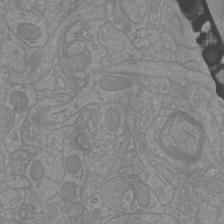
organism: Mouse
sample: Cortical neurons